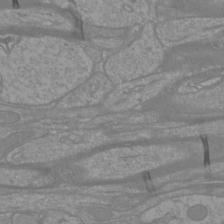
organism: Mouse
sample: Cortical neurons